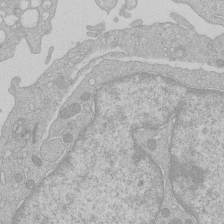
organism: Human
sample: Macrophage cells